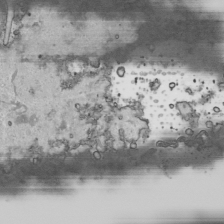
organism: Human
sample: Mitochondria in HCT116 cells